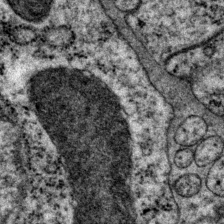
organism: P. pacificus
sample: Pharynx